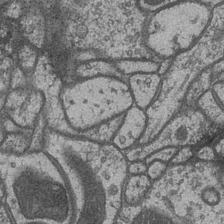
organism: Drosophila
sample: Optic medulla